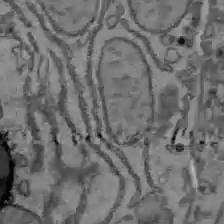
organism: C57BL Mouse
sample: Liver